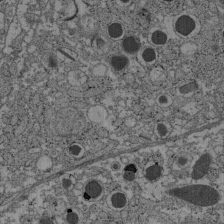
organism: C57BL Mouse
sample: Pancreatic islet